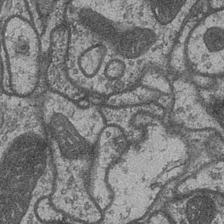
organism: Drosophila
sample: Optic medulla